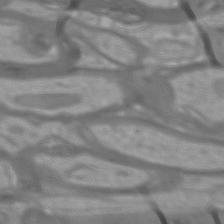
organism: Mouse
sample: Cortical neurons